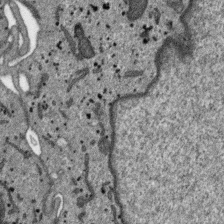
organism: Human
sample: Lung epithelial cells, uninfected (mock) control